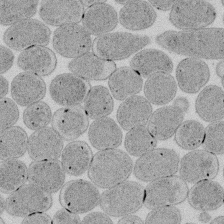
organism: E. coli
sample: Bacterial nucleoid